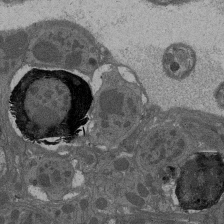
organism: Drosophila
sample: Antenna